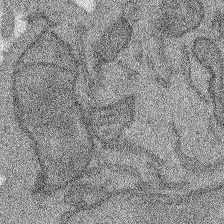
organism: Human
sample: HeLa cells